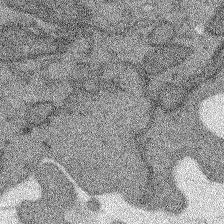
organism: Human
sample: HeLa cells